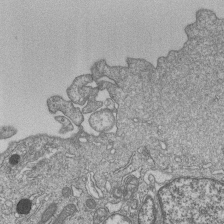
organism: Human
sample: MDA-MB-231 cells